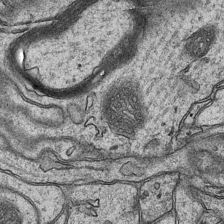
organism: Mouse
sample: CA1 Hippocampus